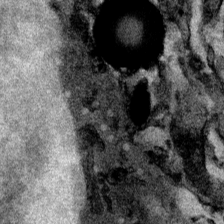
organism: Mouse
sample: Cancer cell death in ED-1 cells